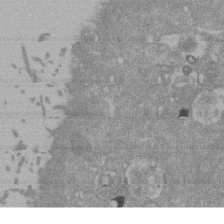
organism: Mouse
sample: ED-1 cell nuclei; centrioles